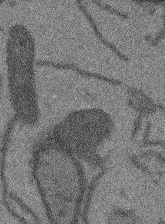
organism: Arabidopsis thaliana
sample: Root tip